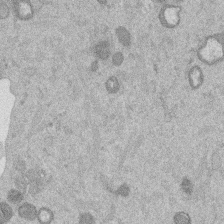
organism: Mouse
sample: Dividing mouse embryo 1 cell stage